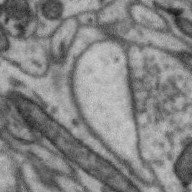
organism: Zebra finch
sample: Brain